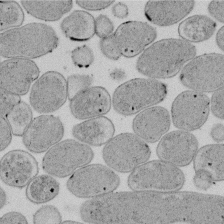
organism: E. coli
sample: Bacterial nucleoid